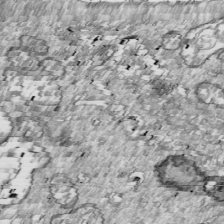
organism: Drosophila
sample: Cell division; meiosis; drosophila spermatocytes